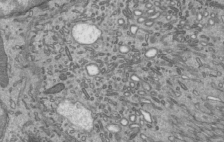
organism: Mouse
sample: Mouse epididymis efferent ductule cilia